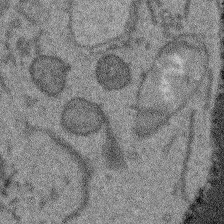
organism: Arabidopsis thaliana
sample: Root tip